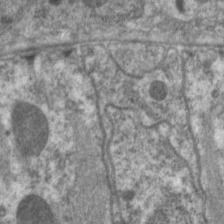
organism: C. elegans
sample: Pharynx